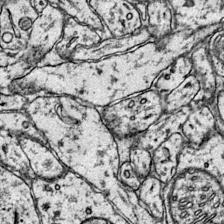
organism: Mouse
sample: Primary visual cortex